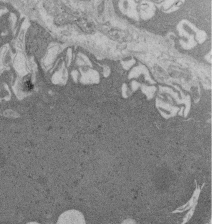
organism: Rat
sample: Salivary granule